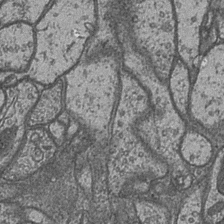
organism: Drosophila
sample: Optic medulla